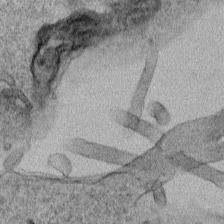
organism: Human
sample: Mitochondria in HCT116 cells